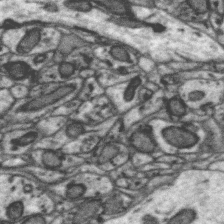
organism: Zebra finch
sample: Brain